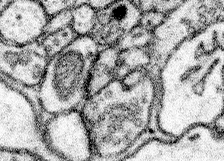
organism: Mouse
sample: Somatosensory cortex neuropil